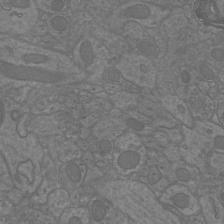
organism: Mouse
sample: Cortical neurons